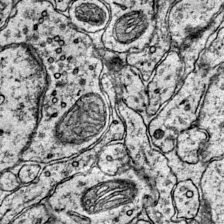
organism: Mouse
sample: Primary visual cortex